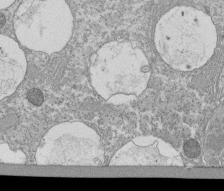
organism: Tetrahymena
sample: Cilia in tetrahymena